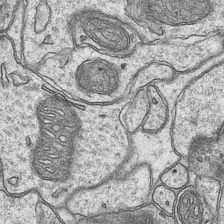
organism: Mouse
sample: CA1 Hippocampus